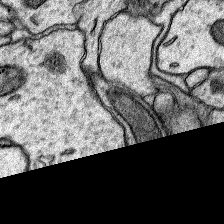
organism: Rat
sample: Hippocampus